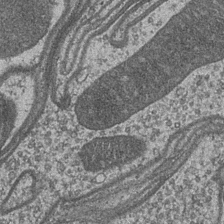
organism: Drosophila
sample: Optic medulla